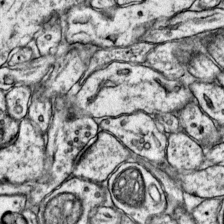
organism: Mouse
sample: Primary visual cortex